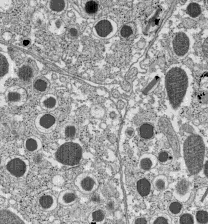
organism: C57BL Mouse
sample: Pancreatic islet